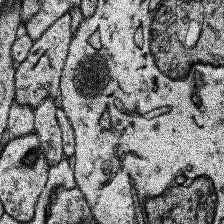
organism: Human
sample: Temporal Lobe